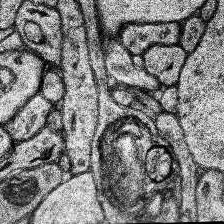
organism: Human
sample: Temporal Lobe